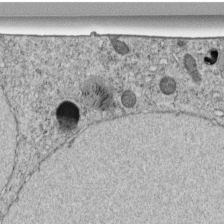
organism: C. elegans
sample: C. elegans embryo early stage